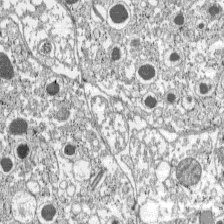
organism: C57BL Mouse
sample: Pancreatic islet